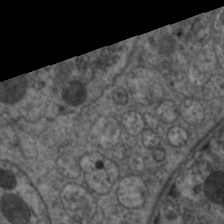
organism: C. elegans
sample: Pharynx